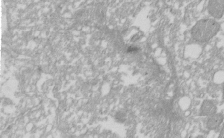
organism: Xenopus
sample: Cilia; centrioles in frog embryo cells